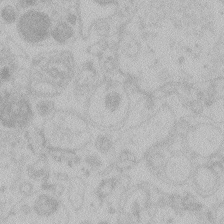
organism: Zebrafish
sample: Macrophage infected with Toxoplasma gondii